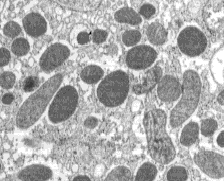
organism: C57BL Mouse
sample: Pancreatic islet